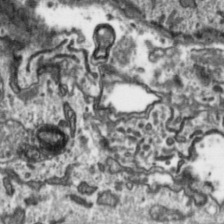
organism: Toxoplasma gondii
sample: Parasites in a vacuole inside a host cell